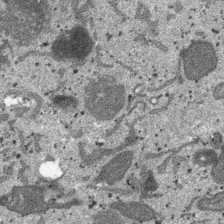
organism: Human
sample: Lung epithelial cells infected with SARS-CoV-2